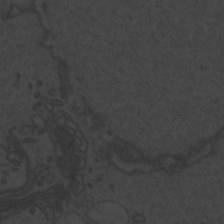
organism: Zebrafish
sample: Macrophage infected with Toxoplasma gondii